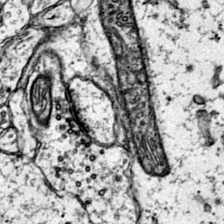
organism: Mouse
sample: Primary visual cortex